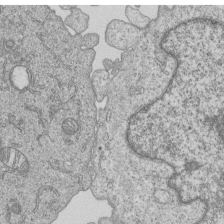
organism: Human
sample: MDA-MB-231 cells